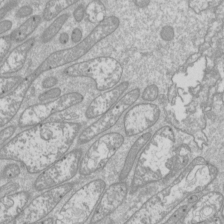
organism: Drosophila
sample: Cell division; meiosis; drosophila spermatocytes